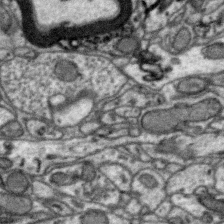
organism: Zebra finch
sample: Brain